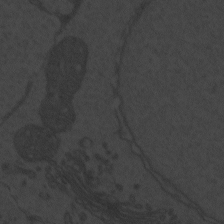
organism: Zebrafish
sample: Macrophage infected with Toxoplasma gondii